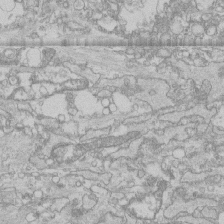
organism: Human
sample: CRL-1474